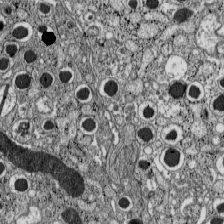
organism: C57BL Mouse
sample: Pancreatic islet